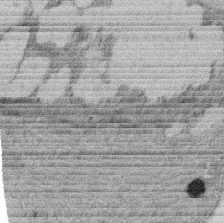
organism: Rat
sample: Salivary granule